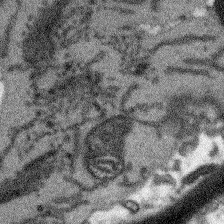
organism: Arabidopsis thaliana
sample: Root tip